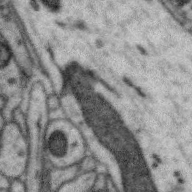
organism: Zebra finch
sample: Brain